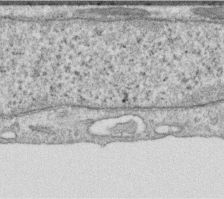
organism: Human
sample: Centriole in RPE cells